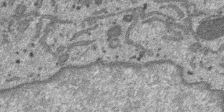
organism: Human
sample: Lung epithelial cells infected with SARS-CoV-2